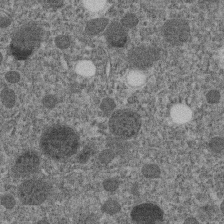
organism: C. elegans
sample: C. elegans embryo early stage